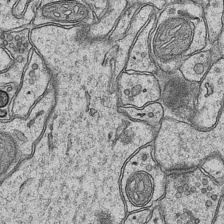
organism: Mouse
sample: CA1 Hippocampus